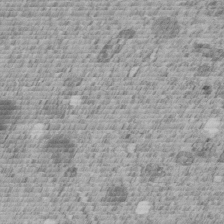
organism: C. elegans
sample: C. elegans embryo early stage